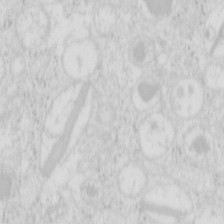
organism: Mouse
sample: Pancreas